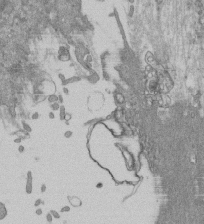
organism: Mouse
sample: ED-1 cell nuclei; centrioles